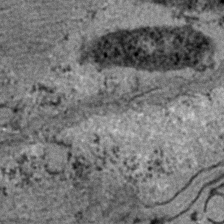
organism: C. elegans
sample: C. elegans embryo